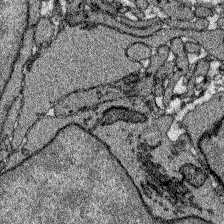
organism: Zebrafish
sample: Larval olfactory bulb